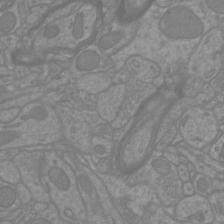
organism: Mouse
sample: Cortical neurons